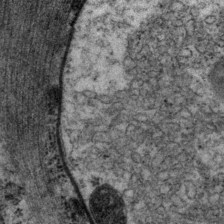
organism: P. pacificus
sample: Pharynx